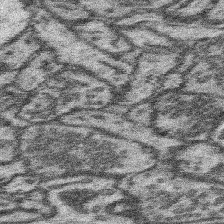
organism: Mouse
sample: Somatosensory cortex neuropil